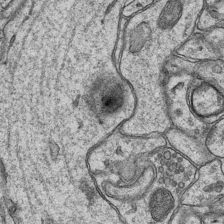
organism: Mouse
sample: CA1 Hippocampus